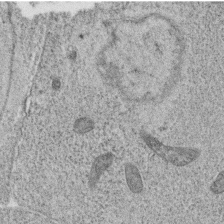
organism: C. elegans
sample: C. elegans oocyte; sperm cells